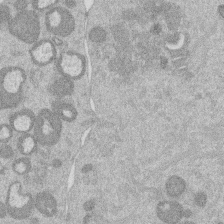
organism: Mouse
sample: Dividing mouse embryo 1 cell stage